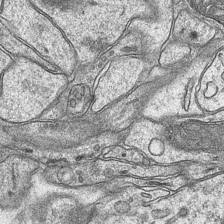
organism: Mouse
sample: CA1 Hippocampus